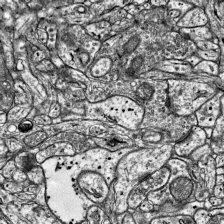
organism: Mouse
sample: Visual Cortex